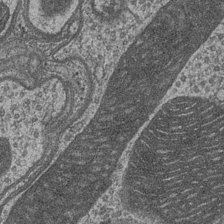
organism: Drosophila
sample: Optic medulla